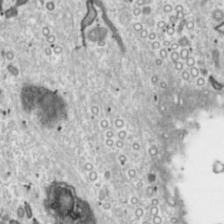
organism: Toxoplasma gondii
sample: Parasites in a vacuole inside a host cell